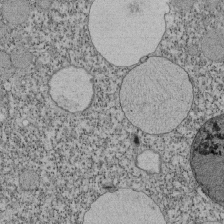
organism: Tetrahymena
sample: Cilia in tetrahymena